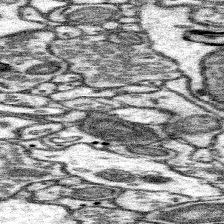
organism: Mouse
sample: Somatosensory cortex neuropil